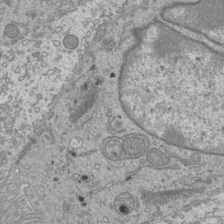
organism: Mouse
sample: Cilia; mouse epididymis